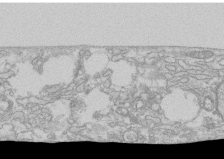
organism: Human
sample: CRL-1474